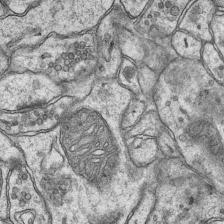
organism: Mouse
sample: CA1 Hippocampus